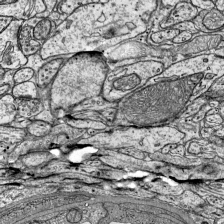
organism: Mouse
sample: Visual Cortex